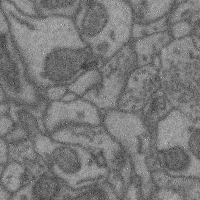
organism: Mouse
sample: Cerebral cortex